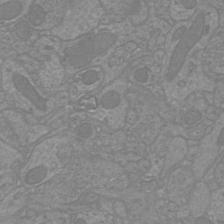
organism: Mouse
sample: Cortical neurons